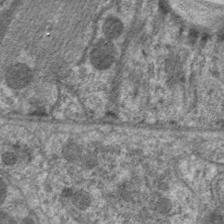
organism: C. elegans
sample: Pharynx